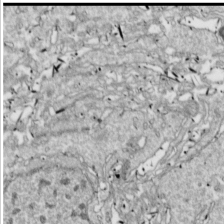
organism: Drosophila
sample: Cell division; meiosis; drosophila spermatocytes